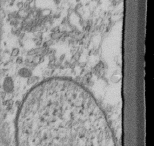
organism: Mouse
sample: Cilia; retinal pigment epithelium